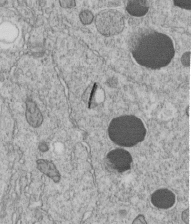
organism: C. elegans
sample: C. elegans embryo early stage